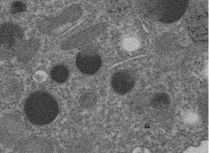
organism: C. elegans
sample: C. elegans embryo early stage